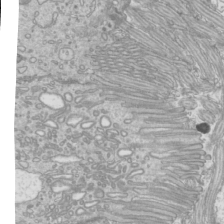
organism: Mouse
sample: Cilia; mouse epididymis